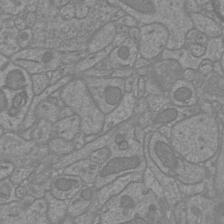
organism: Mouse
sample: Cortical neurons